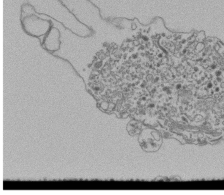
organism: Human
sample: Retinal organoid Rod and Cone cells